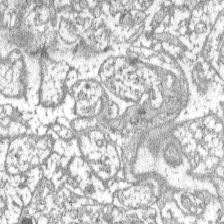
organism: C57BL Mouse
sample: Pancreatic islet